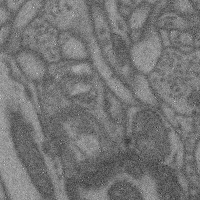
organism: Mouse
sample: Cerebral cortex